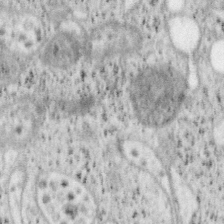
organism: Mouse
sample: OT-I killer T cells with ID8 ovarian cancer cells